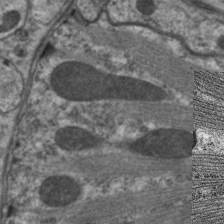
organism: C. elegans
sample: Pharynx